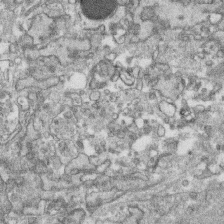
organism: Human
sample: CRL-1474